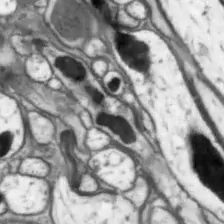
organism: Drosophila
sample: Optic lobe